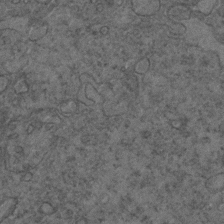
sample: Trachea